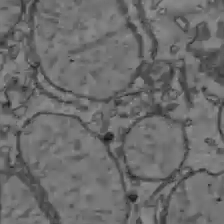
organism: C57BL Mouse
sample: Liver